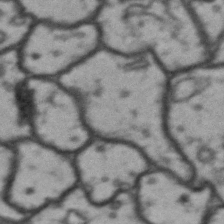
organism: Drosophila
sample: Brain